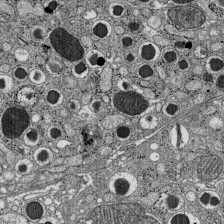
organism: C57BL Mouse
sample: Pancreatic islet